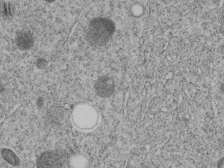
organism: C. elegans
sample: C. elegans embryo early stage